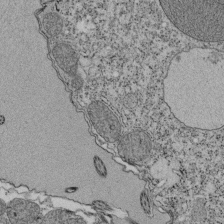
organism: Tetrahymena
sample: Cilia in tetrahymena